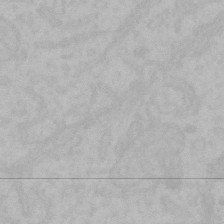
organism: Mouse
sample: Choroid plexus